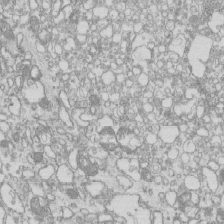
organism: Mouse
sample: Macrophages